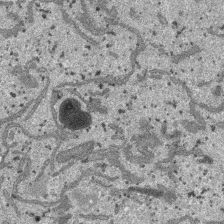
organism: Human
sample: Lung epithelial cells infected with SARS-CoV-2